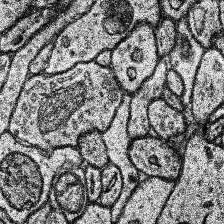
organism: Human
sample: Temporal Lobe